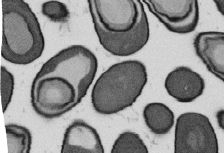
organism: B. subtilis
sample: Bacterial spore